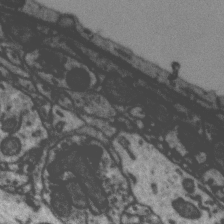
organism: Zebra finch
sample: Brain